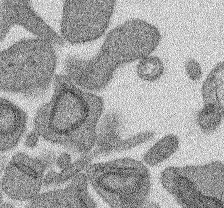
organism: Human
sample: HeLa cells